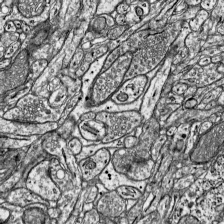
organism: Mouse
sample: Visual Cortex